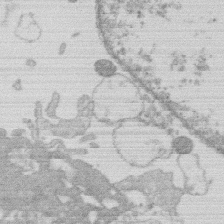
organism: Human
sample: Macrophage cells